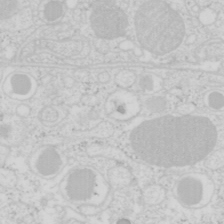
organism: Mouse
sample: Pancreas